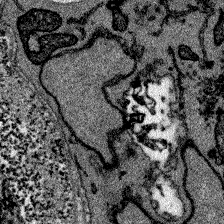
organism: Zebrafish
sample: Larval olfactory bulb